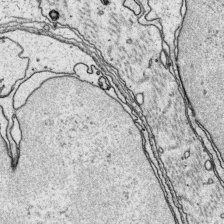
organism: Platynereis dumerilii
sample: Parapodia